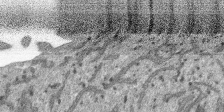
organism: Human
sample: Lung epithelial cells infected with SARS-CoV-2